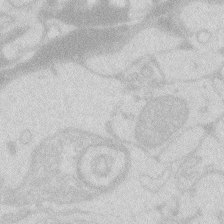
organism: Zebrafish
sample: Macrophage